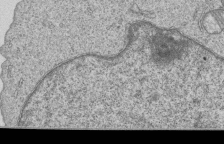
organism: Human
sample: MDA-MB-231 cells